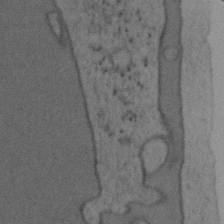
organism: Human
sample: HeLa cells